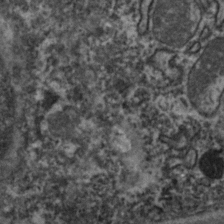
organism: Zebrafish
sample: Zebrafish embryo